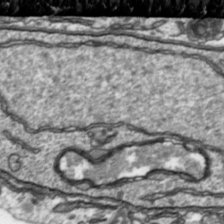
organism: Toxoplasma gondii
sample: Parasites in a vacuole inside a host cell